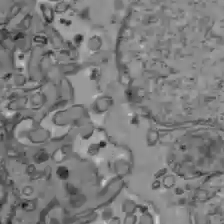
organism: C57BL Mouse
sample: Liver